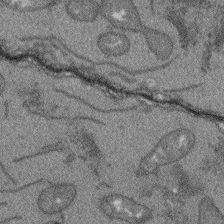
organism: Arabidopsis thaliana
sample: Root tip